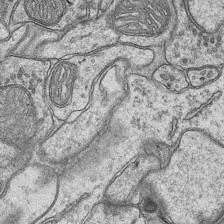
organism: Mouse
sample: CA1 Hippocampus